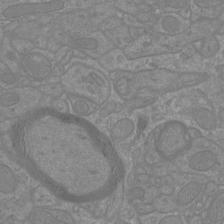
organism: Mouse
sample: Cortical neurons